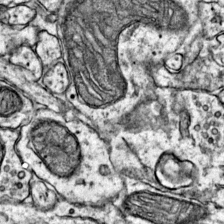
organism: Mouse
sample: Primary visual cortex